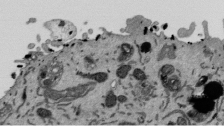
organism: Mouse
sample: ED-1 cell nuclei; centrioles